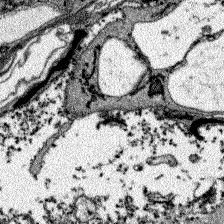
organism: Zebrafish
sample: Larval olfactory bulb